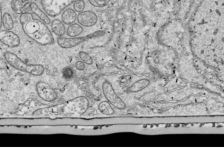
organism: Drosophila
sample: Cell division; meiosis; drosophila spermatocytes